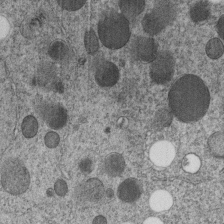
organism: C. elegans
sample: C. elegans embryo early stage